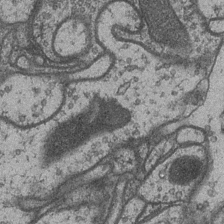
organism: Drosophila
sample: Optic medulla